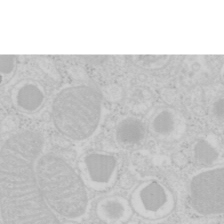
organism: Mouse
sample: Pancreas